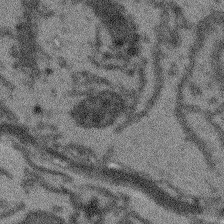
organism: Arabidopsis thaliana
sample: Root tip